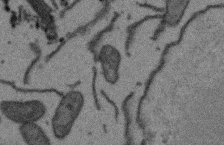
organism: Arabidopsis thaliana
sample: Root tip